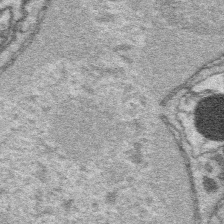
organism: Platynereis dumerilii